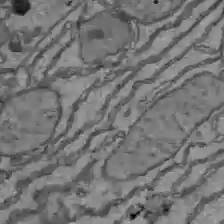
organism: C57BL Mouse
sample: Liver